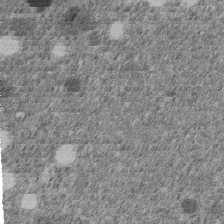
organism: C. elegans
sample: C. elegans embryo early stage